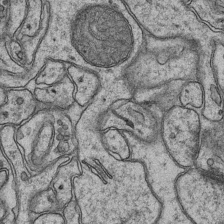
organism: Mouse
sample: CA1 Hippocampus